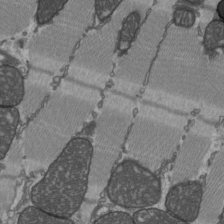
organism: C57BL Mouse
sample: Heart